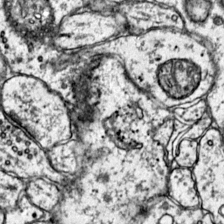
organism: Mouse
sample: Primary visual cortex